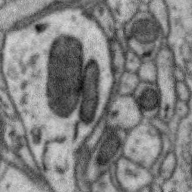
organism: Zebra finch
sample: Brain